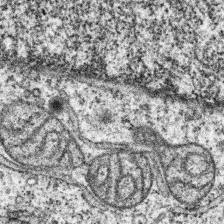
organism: Human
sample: HeLa cells